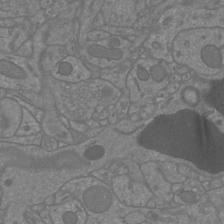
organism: Mouse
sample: Cortical neurons